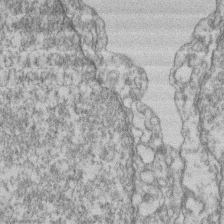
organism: Mouse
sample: T cell stromal cell synapse